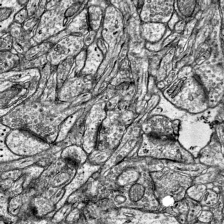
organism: Mouse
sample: Visual Cortex